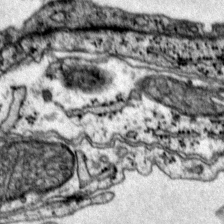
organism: Mouse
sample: Primary visual cortex